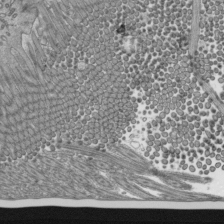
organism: Mouse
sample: Mouse epididymis efferent ductule cilia